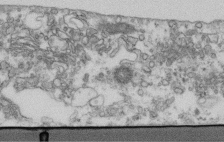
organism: Human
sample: Centriole in fibroblast cells